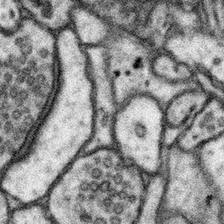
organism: Mouse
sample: Somatosensory cortex neuropil